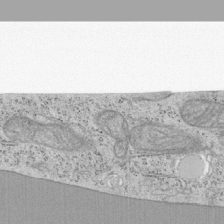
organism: Human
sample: HeLa cells